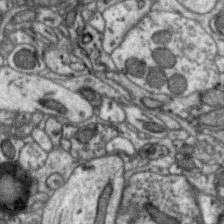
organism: Zebra finch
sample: Brain